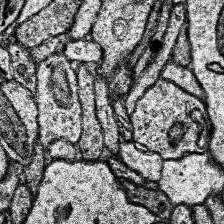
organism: Human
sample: Temporal Lobe